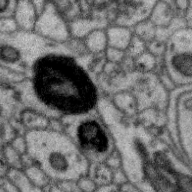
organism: Zebra finch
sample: Brain